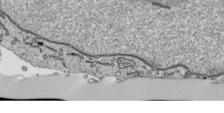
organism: Human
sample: Mitochondria in HCT116 cells